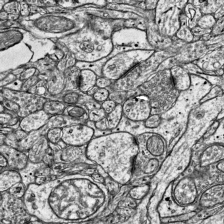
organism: Mouse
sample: Visual Cortex